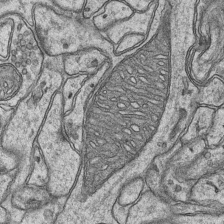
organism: Mouse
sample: CA1 Hippocampus